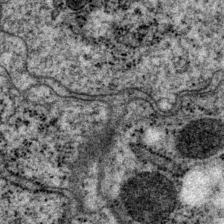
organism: P. pacificus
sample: Pharynx